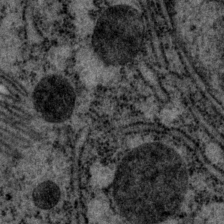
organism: P. pacificus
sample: Pharynx